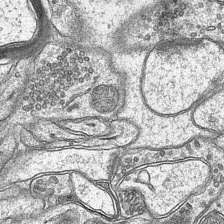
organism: Mouse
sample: CA1 Hippocampus